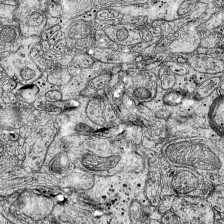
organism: Mouse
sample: Visual Cortex